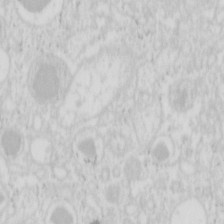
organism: Mouse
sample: Pancreas